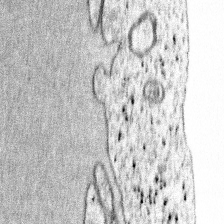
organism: Human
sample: HeLa cells